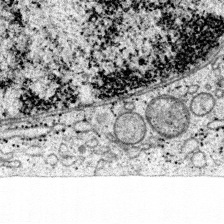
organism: Human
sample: HeLa cells